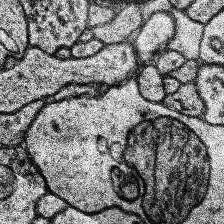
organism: Human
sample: Temporal Lobe